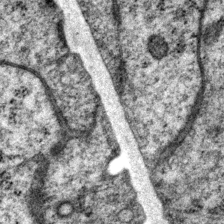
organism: P. pacificus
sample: Pharynx